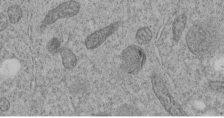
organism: C. elegans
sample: C. elegans embryo early stage